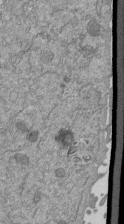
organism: Mouse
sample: ED-1 cell nuclei; centrioles